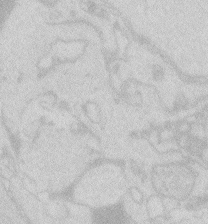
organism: Zebrafish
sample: Macrophage